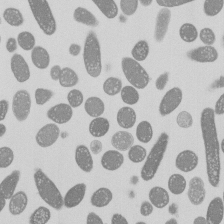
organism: E. coli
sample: Bacterial nucleoid